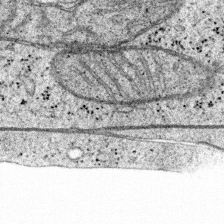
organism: Human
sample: HeLa cells